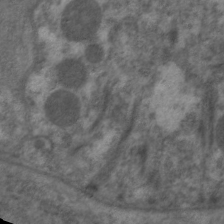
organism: C. elegans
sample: Pharynx